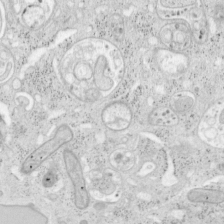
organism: Mouse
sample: OT-I killer T cells with ID8 ovarian cancer cells